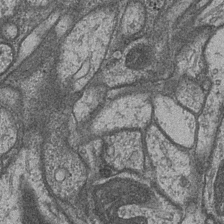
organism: Drosophila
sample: Optic medulla